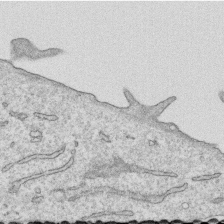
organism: Human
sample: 1205lu cells